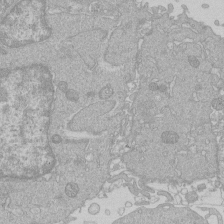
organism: Human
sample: Macrophage cells